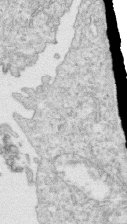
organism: Human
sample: HeLa cell HIV synapse